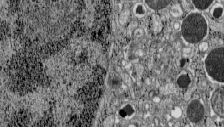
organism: C57BL Mouse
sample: Pancreatic islet